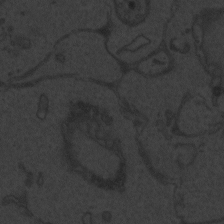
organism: Zebrafish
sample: Macrophage infected with Toxoplasma gondii